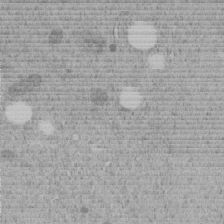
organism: C. elegans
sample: C. elegans embryo early stage